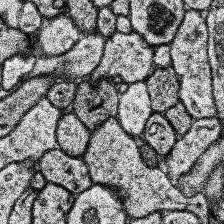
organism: Human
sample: Temporal Lobe